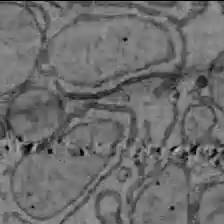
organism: C57BL Mouse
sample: Liver